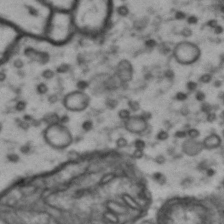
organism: Drosophila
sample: Brain